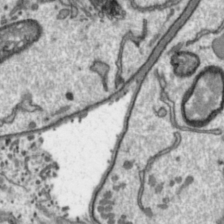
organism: Toxoplasma gondii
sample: Parasites in a vacuole inside a host cell